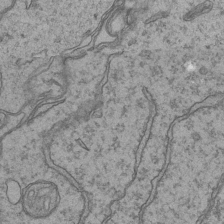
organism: Mouse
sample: CA1 Hippocampus